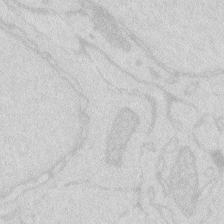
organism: Zebrafish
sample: Macrophage